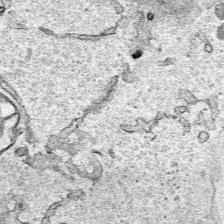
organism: Human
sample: Mitochondria in HCT116 cells